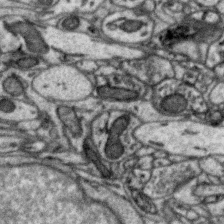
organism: Zebra finch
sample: Brain